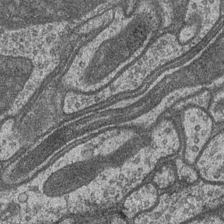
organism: Drosophila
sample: Optic medulla